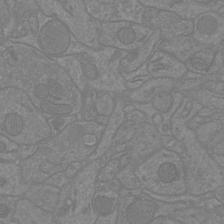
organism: Mouse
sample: Cortical neurons